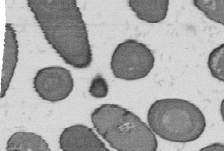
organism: B. subtilis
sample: Bacterial spore